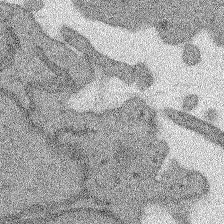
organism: Human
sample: HeLa cells